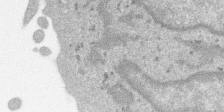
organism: Human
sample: Lung epithelial cells infected with SARS-CoV-2